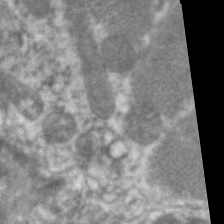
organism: C. elegans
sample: Pharynx